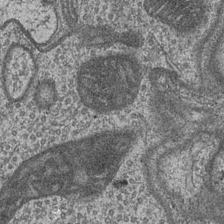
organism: Drosophila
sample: Optic medulla